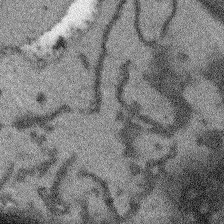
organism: Arabidopsis thaliana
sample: Root tip